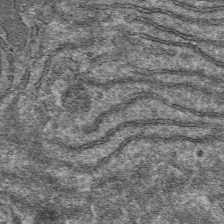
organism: Mouse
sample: Mouse hepatocytes